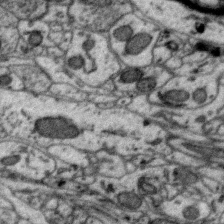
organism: Zebra finch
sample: Brain